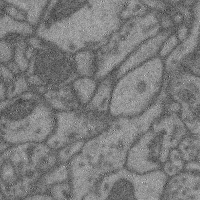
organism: Mouse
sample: Cerebral cortex